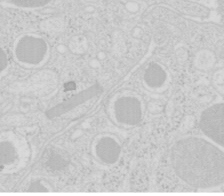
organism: Mouse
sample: Pancreas